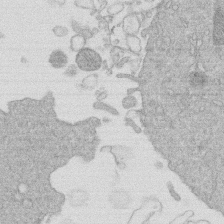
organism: Human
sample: Macrophage cells